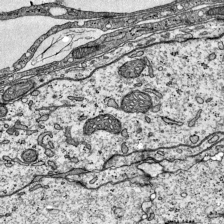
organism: Mouse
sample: Visual Cortex